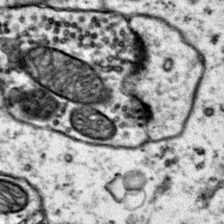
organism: Mouse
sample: Primary visual cortex